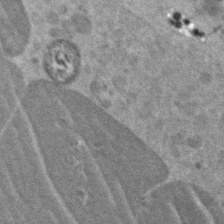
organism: Zebrafish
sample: Zebrafish embryo